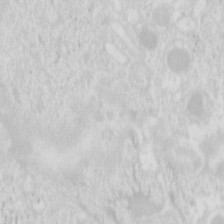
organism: Mouse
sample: Pancreas